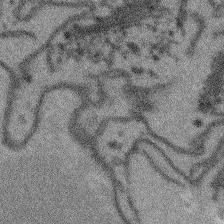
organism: Arabidopsis thaliana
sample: Root tip